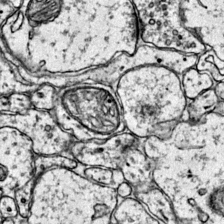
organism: Mouse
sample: Primary visual cortex